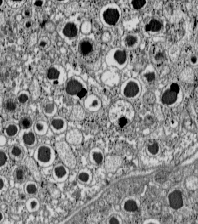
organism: C57BL Mouse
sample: Pancreatic islet